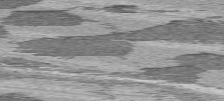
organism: C57BL Mouse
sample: Heart